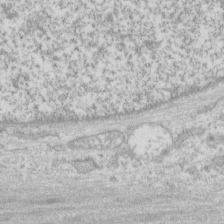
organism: Human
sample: CRL-1474